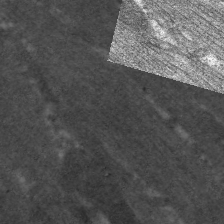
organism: C. elegans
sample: Pharynx